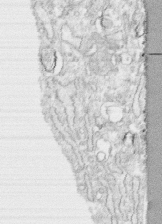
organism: Human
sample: CRL-1474